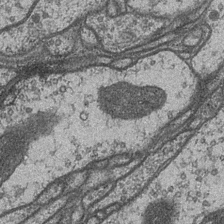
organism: Drosophila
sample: Optic medulla